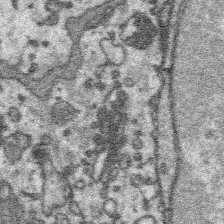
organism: Platynereis dumerilii